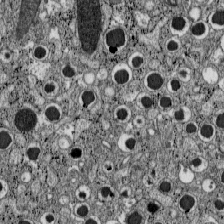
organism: C57BL Mouse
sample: Pancreatic islet